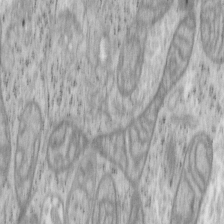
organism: Human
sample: HeLa cells